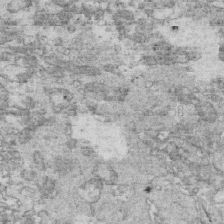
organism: Mouse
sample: Multiciliated cells